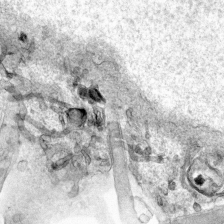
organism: Human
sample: Mitochondria in HCT116 cells